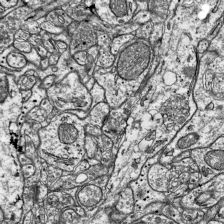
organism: Mouse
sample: Visual Cortex